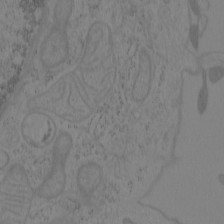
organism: Human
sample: HeLa cells